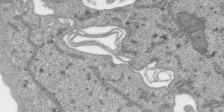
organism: Human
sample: Lung epithelial cells infected with SARS-CoV-2